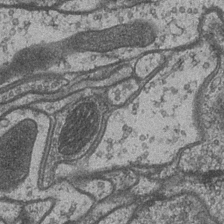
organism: Drosophila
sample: Optic medulla